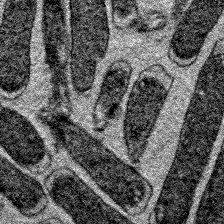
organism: E. coli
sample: E. Coli Bacteria